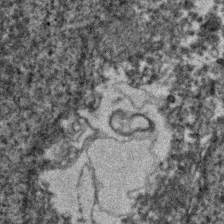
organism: Zebrafish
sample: Zebrafish embryo